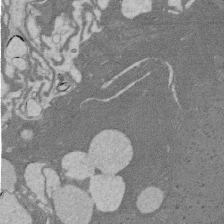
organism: Rat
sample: Salivary granule